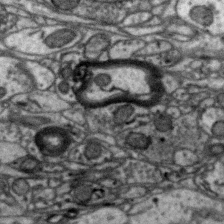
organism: Zebra finch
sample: Brain